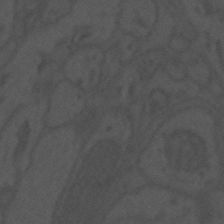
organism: Mouse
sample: Suprachiasmatic nucleus